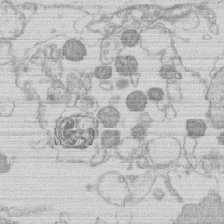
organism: Human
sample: Macrophage cells